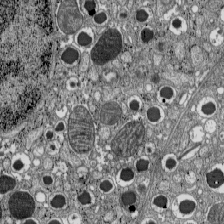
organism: C57BL Mouse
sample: Pancreatic islet